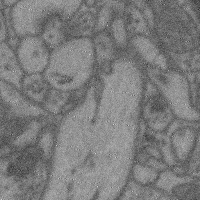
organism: Mouse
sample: Cerebral cortex